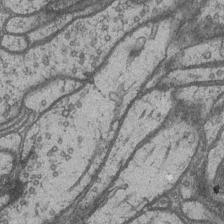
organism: Drosophila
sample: Optic medulla